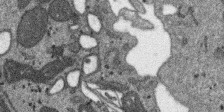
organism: Human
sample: Lung epithelial cells infected with SARS-CoV-2